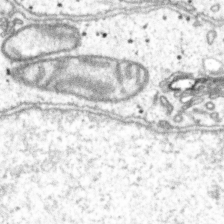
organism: Human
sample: HeLa cells